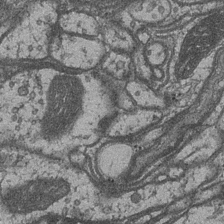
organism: Drosophila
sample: Optic medulla